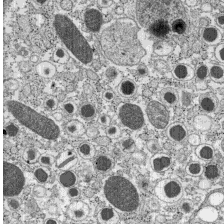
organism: C57BL Mouse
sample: Pancreatic islet